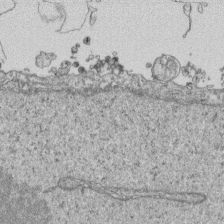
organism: Human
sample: HeLa cell HIV synapse